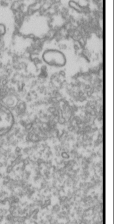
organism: Drosophila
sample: Cell division; meiosis; drosophila spermatocytes